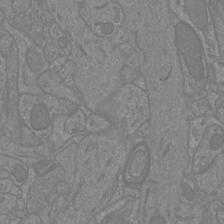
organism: Mouse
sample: Cortical neurons